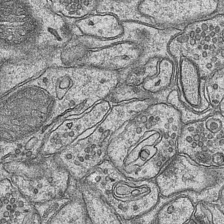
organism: Mouse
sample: CA1 Hippocampus